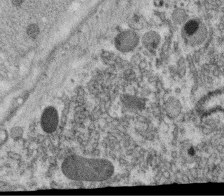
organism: C. elegans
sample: C. elegans oocyte; sperm cells